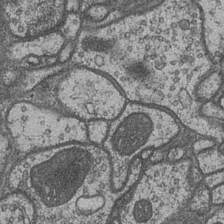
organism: Drosophila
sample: Optic medulla